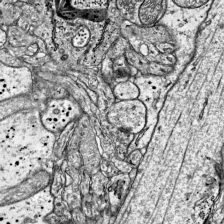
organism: Mouse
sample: Visual Cortex